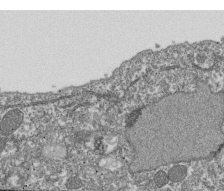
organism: Dictyostelium discoideum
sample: Dictyostelium multivesicular bodies